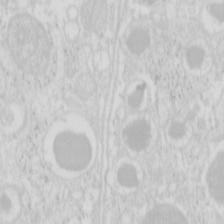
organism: Mouse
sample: Pancreas